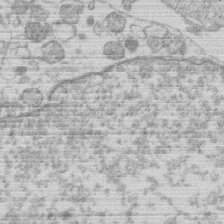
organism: Human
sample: Macrophage cells